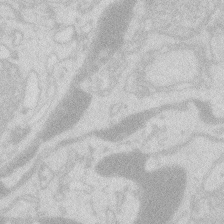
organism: Zebrafish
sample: Macrophage